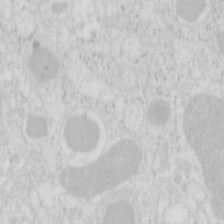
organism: Mouse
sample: Pancreas